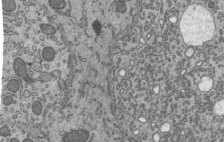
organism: Mouse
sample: Mouse epididymis efferent ductule cilia